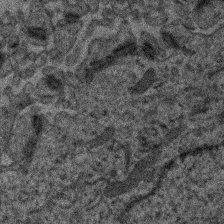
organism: Human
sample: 1205lu cells